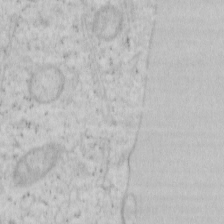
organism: Human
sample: HeLa cells